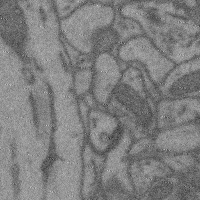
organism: Mouse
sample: Cerebral cortex